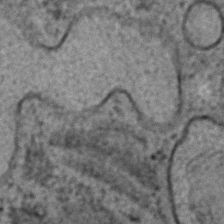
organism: C. elegans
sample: C. elegans embryo